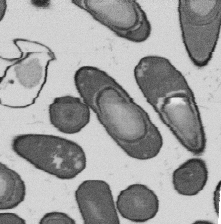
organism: B. subtilis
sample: Bacterial spore